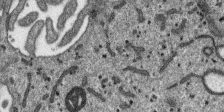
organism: Human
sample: Lung epithelial cells infected with SARS-CoV-2